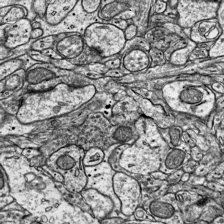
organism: Mouse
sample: Visual Cortex